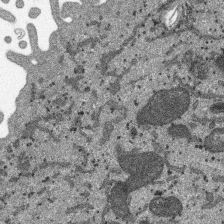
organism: Human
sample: Lung epithelial cells infected with SARS-CoV-2